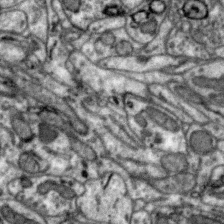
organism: Zebra finch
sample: Brain